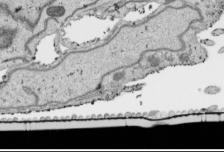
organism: Human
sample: Mitochondria in HCT116 cells